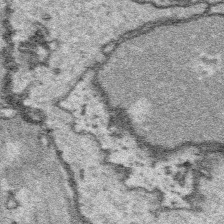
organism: Platynereis dumerilii